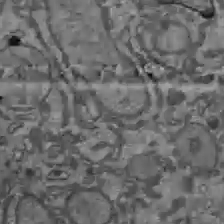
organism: C57BL Mouse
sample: Liver